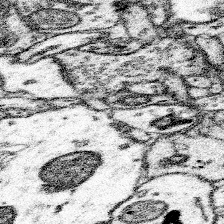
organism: Mouse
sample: Somatosensory cortex neuropil